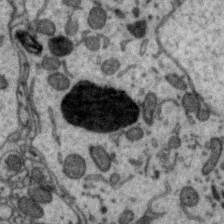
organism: Zebra finch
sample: Brain